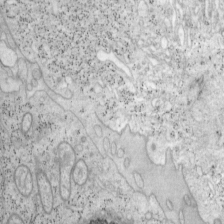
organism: Mouse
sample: OT-I killer T cells with ID8 ovarian cancer cells